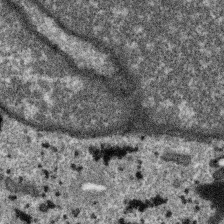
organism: Human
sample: Lung epithelial cells infected with SARS-CoV-2